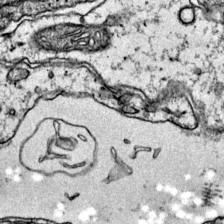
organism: Mouse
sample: Primary visual cortex